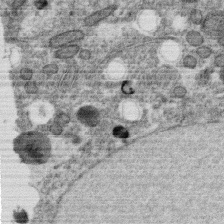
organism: C. elegans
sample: C. elegans oocyte; sperm cells